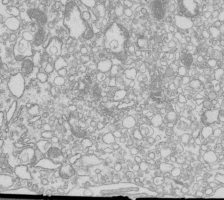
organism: Mouse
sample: Macrophages